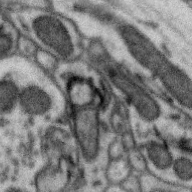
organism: Zebra finch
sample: Brain